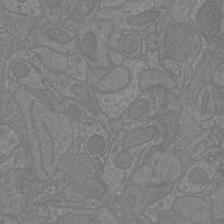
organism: Mouse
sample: Cortical neurons